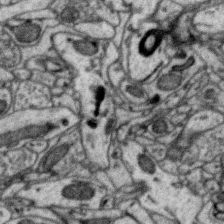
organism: Zebra finch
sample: Brain